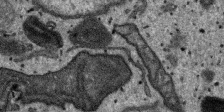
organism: Human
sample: Lung epithelial cells, uninfected (mock) control